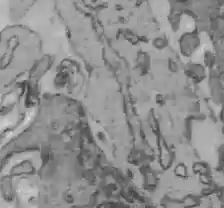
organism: C57BL Mouse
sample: Liver